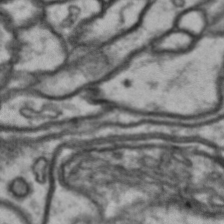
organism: Drosophila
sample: Brain